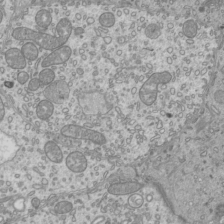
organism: Mouse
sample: Cilia; mouse epididymis